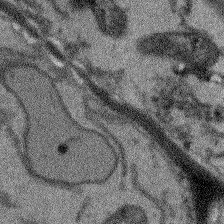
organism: Arabidopsis thaliana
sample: Root tip